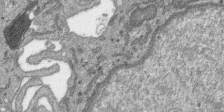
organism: Human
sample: Lung epithelial cells infected with SARS-CoV-2